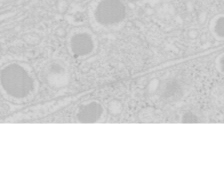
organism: Mouse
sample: Pancreas